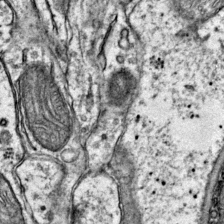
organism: Mouse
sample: Primary visual cortex